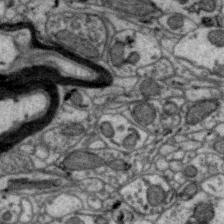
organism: Zebra finch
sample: Brain